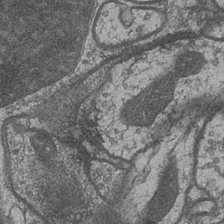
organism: Drosophila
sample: Optic medulla